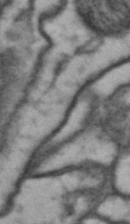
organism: Drosophila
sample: Brain